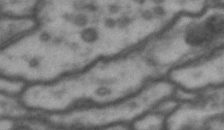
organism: Drosophila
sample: Brain